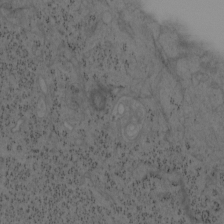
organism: Mouse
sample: OT-I killer T cells with ID8 ovarian cancer cells